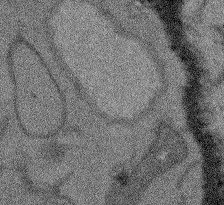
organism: Arabidopsis thaliana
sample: Root tip